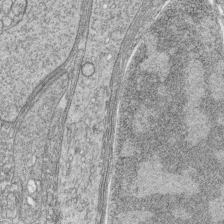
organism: Zebrafish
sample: synaptic ribbons in rod cells and cone cells